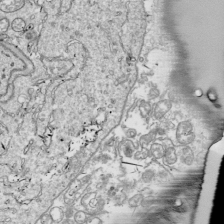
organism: Drosophila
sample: Cell division; meiosis; drosophila spermatocytes